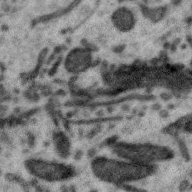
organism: Zebra finch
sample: Brain